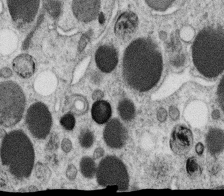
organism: C. elegans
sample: C. elegans oocyte; sperm cells